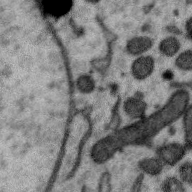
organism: Zebra finch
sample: Brain